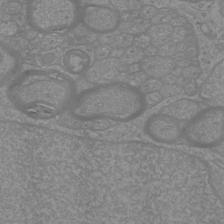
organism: Mouse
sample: Cortical neurons